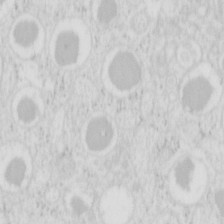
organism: Mouse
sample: Pancreas